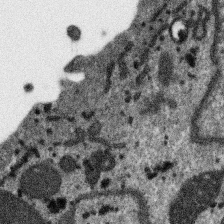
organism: Human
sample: Lung epithelial cells infected with SARS-CoV-2